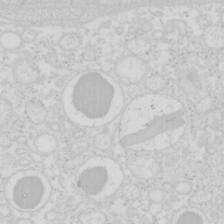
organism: Mouse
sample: Pancreas